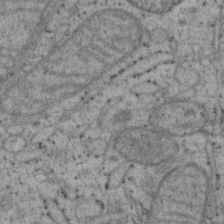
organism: Human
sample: HeLa cells